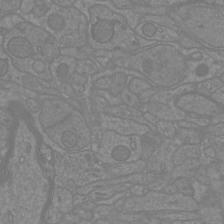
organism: Mouse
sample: Cortical neurons